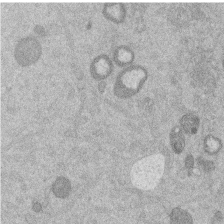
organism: Mouse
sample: Dividing mouse embryo 1 cell stage